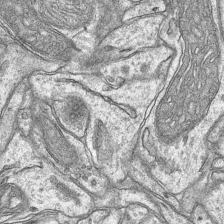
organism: Mouse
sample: CA1 Hippocampus